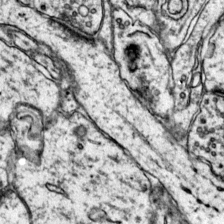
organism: Mouse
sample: Primary visual cortex